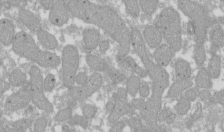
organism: Xenopus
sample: Cilia; centrioles in frog embryo cells